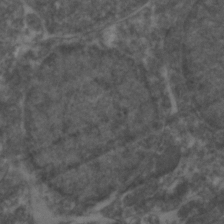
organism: Zebrafish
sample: Zebrafish embryo